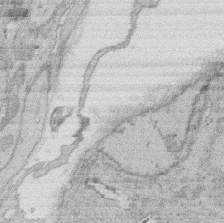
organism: Rat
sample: Salivary granule